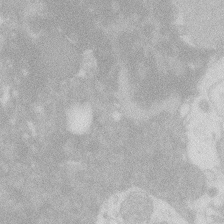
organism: Zebrafish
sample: Macrophage